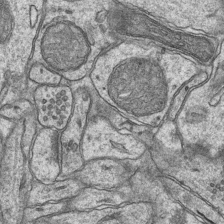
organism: Mouse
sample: CA1 Hippocampus